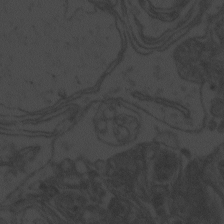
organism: Zebrafish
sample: Macrophage infected with Toxoplasma gondii